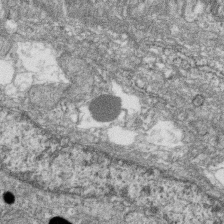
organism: Zebrafish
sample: Cilia; retinal pigment epithelium